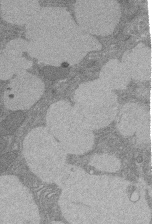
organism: Rat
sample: Salivary granule